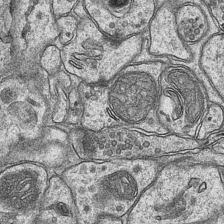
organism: Mouse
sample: CA1 Hippocampus